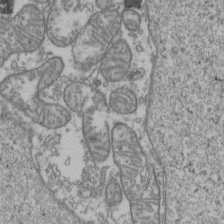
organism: Human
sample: Activated Jurkat CD4+ T cells